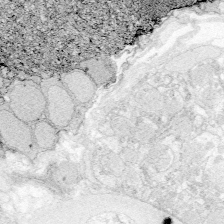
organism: Zebrafish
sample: Whole-Brain